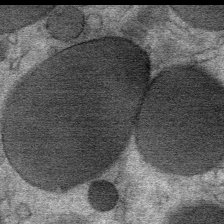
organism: Mouse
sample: Mouse Salivary gland